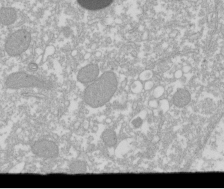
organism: Xenopus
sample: Cilia; centrioles in frog embryo cells